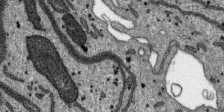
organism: Human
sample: Lung epithelial cells, uninfected (mock) control